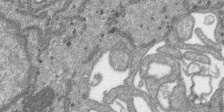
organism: Human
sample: Lung epithelial cells infected with SARS-CoV-2